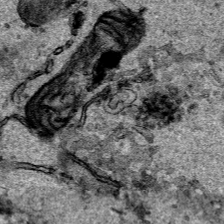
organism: Human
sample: Mitochondria in HCT116 cells